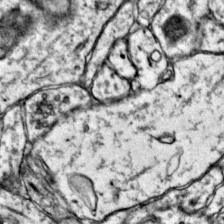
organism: Mouse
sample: Primary visual cortex